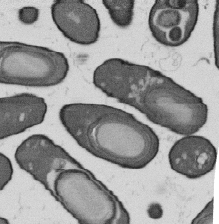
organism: B. subtilis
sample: Bacterial spore